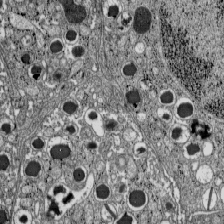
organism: C57BL Mouse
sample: Pancreatic islet